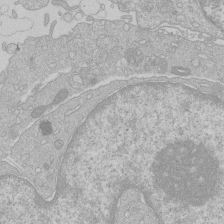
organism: Human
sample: Macrophage cells